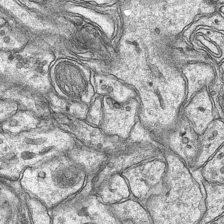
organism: Mouse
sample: CA1 Hippocampus